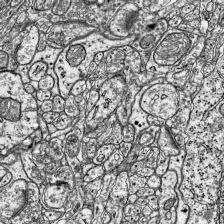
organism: Mouse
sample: Visual Cortex